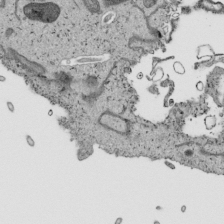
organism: Human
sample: Mitochondria in HCT116 cells